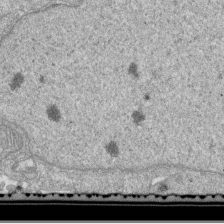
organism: Human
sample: HeLa cell HIV synapse